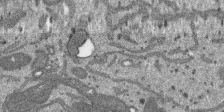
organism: Human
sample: Lung epithelial cells infected with SARS-CoV-2